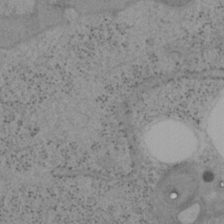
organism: Mouse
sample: OT-I killer T cells with ID8 ovarian cancer cells